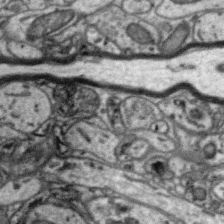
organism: Zebra finch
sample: Brain